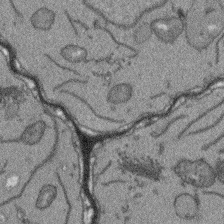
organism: Arabidopsis thaliana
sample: Root tip